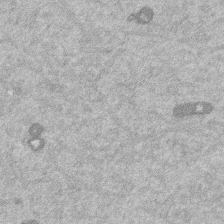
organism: Mouse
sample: Dividing mouse embryo 1 cell stage